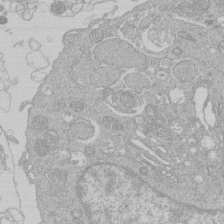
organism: Human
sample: Macrophage cells